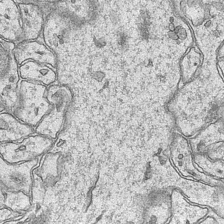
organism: Mouse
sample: CA1 Hippocampus